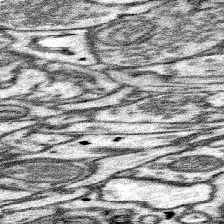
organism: Mouse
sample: Somatosensory cortex neuropil